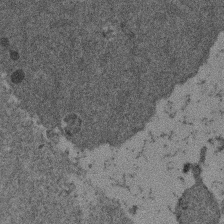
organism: Mouse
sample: Dividing mouse embryo 1 cell stage